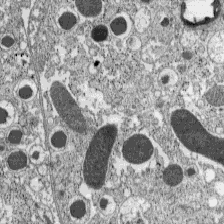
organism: C57BL Mouse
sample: Pancreatic islet